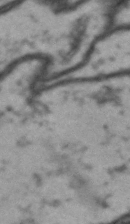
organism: Drosophila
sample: Brain